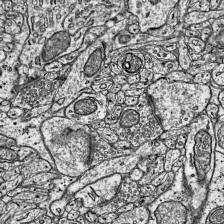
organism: Mouse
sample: Visual Cortex